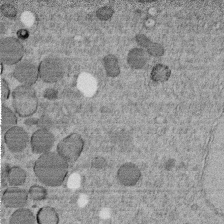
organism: C. elegans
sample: C. elegans embryo early stage